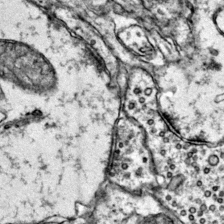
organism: Mouse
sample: Primary visual cortex